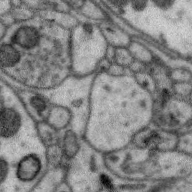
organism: Zebra finch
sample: Brain